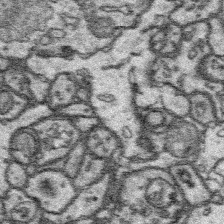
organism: Platynereis dumerilii